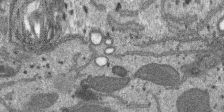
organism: Human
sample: Lung epithelial cells infected with SARS-CoV-2